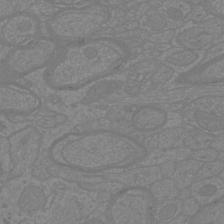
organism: Mouse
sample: Cortical neurons